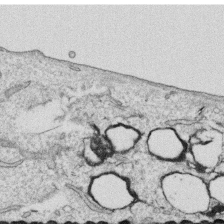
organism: Human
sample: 1205lu cells